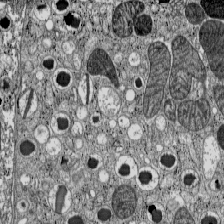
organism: C57BL Mouse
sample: Pancreatic islet